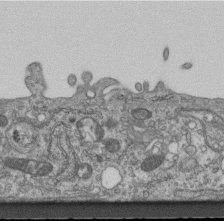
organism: Mouse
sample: Centriole in ependymal cells